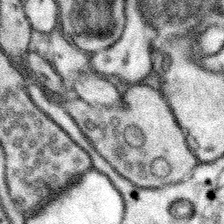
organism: Mouse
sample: Somatosensory cortex neuropil